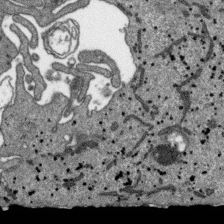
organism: Human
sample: Lung epithelial cells, uninfected (mock) control